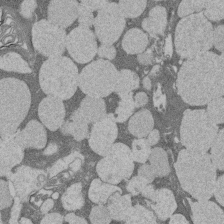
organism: Rat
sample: Salivary granule